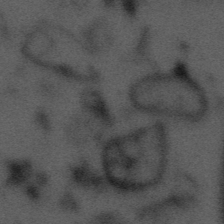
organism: Tuwongella immobilis